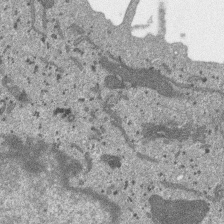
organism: Human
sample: Lung epithelial cells infected with SARS-CoV-2